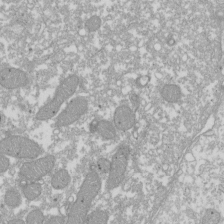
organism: Xenopus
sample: Cilia; centrioles in frog embryo cells